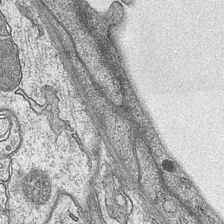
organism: Mouse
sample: CA1 Hippocampus